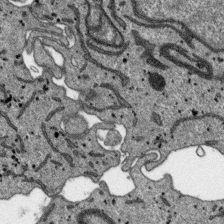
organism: Human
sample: Lung epithelial cells, uninfected (mock) control